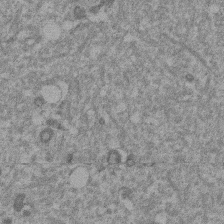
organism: Mouse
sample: Dividing mouse embryo 1 cell stage